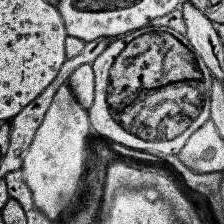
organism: Human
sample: Temporal Lobe